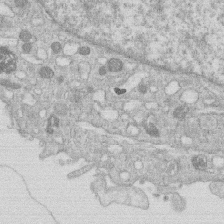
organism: Human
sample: Macrophage cells